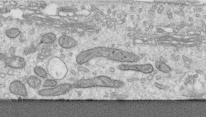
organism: Human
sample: Centriole in RPE cells